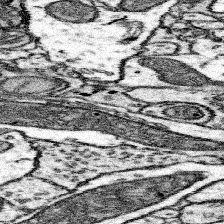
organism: Mouse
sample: Somatosensory cortex neuropil